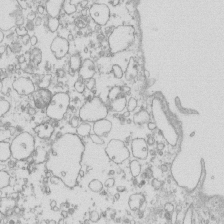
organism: Mouse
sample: Macrophages